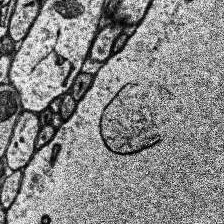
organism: Human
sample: Temporal Lobe